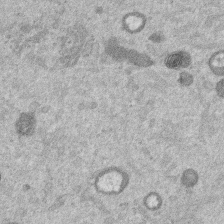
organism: Mouse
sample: Dividing mouse embryo 1 cell stage